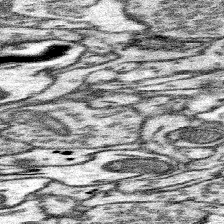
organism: Mouse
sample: Somatosensory cortex neuropil